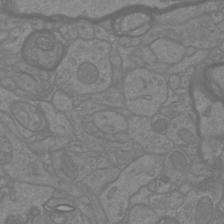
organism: Mouse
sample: Cortical neurons